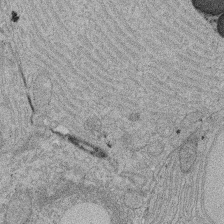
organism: Rat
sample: Salivary granule